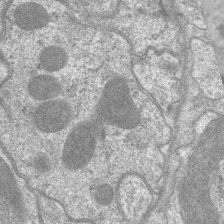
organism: C. elegans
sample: Pharynx